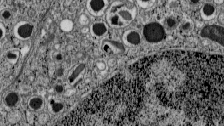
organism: C57BL Mouse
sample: Pancreatic islet